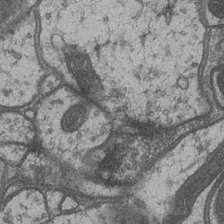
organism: Drosophila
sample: Optic medulla